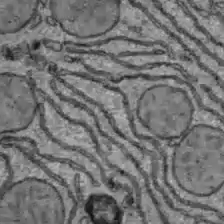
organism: C57BL Mouse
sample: Liver